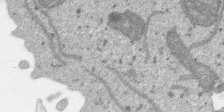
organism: Human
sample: Lung epithelial cells infected with SARS-CoV-2